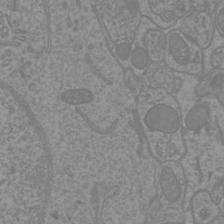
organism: Mouse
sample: Cortical neurons